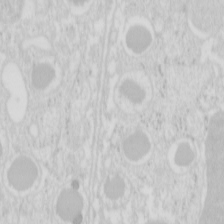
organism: Mouse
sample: Pancreas